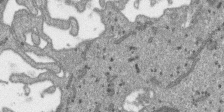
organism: Human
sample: Lung epithelial cells infected with SARS-CoV-2